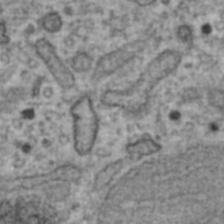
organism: Human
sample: Blood